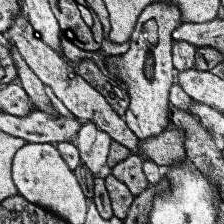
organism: Human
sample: Temporal Lobe